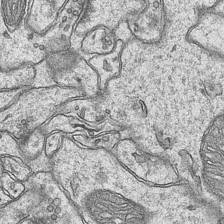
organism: Mouse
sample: CA1 Hippocampus